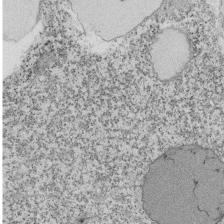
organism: Tetrahymena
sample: Cilia in tetrahymena